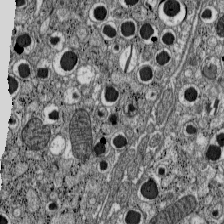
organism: C57BL Mouse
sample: Pancreatic islet